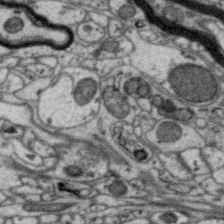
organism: Zebra finch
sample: Brain